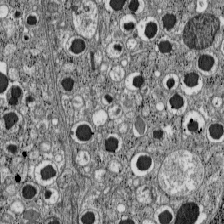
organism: C57BL Mouse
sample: Pancreatic islet